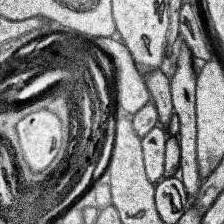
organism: Human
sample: Temporal Lobe